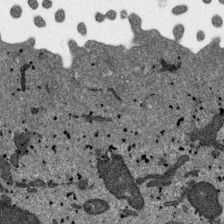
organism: Human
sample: Lung epithelial cells, uninfected (mock) control